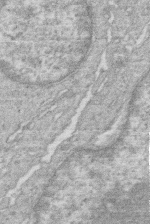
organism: Human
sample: Macrophage cells